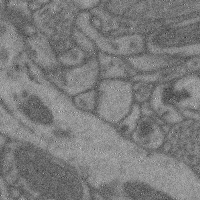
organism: Mouse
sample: Cerebral cortex